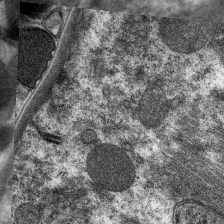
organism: C. elegans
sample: Pharynx